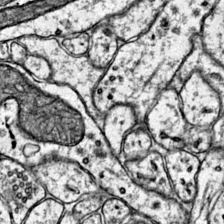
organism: Mouse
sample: Primary visual cortex